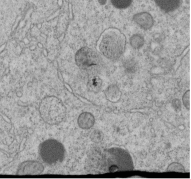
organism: C. elegans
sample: C. elegans embryo early stage